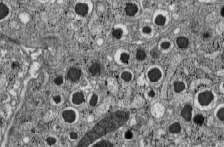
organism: C57BL Mouse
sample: Pancreatic islet